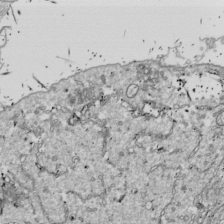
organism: Drosophila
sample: Cell division; meiosis; drosophila spermatocytes